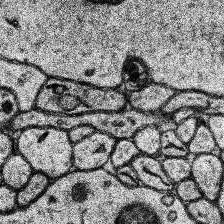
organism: Human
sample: Temporal Lobe